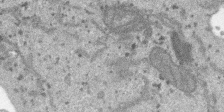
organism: Human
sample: Lung epithelial cells infected with SARS-CoV-2